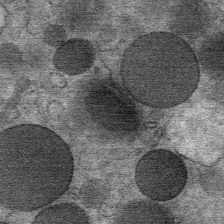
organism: Mouse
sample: Mouse Salivary gland